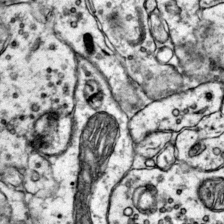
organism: Mouse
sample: Primary visual cortex